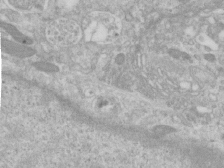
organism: Human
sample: Centriole in RPE cells